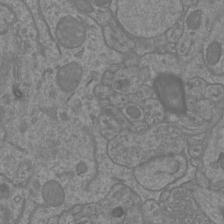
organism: Mouse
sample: Cortical neurons